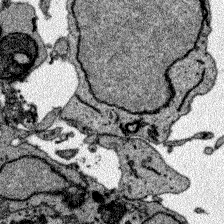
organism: Zebrafish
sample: Larval olfactory bulb